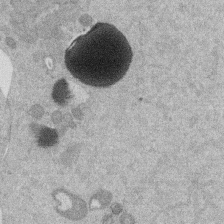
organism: Mouse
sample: Dividing mouse embryo 1 cell stage